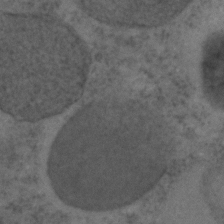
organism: C. elegans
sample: C. elegans embryo